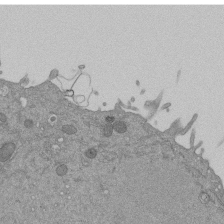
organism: Mouse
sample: ED-1 cell nuclei; centrioles